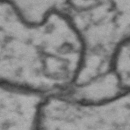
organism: Drosophila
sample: Brain